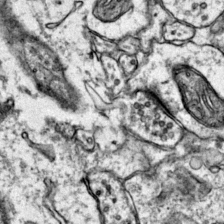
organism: Mouse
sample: Primary visual cortex